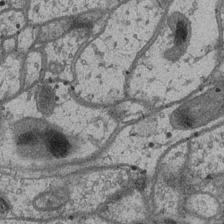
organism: Drosophila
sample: Optic medulla